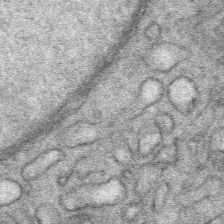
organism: Mouse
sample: Mouse Salivary gland